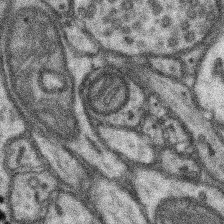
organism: Mouse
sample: Somatosensory cortex neuropil